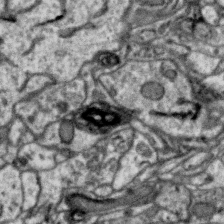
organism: Zebra finch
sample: Brain